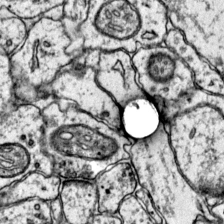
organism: Mouse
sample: Primary visual cortex